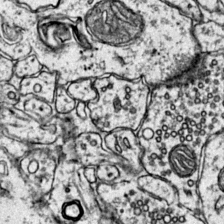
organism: Mouse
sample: Primary visual cortex